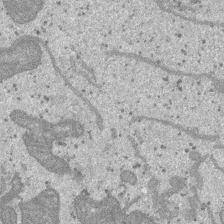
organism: Human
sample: Lung epithelial cells infected with SARS-CoV-2